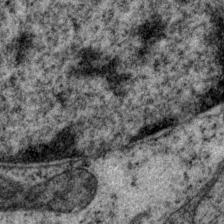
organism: P. pacificus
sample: Pharynx